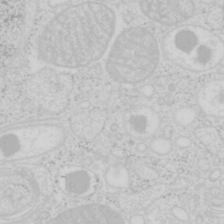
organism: Mouse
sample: Pancreas